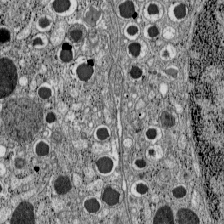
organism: C57BL Mouse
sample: Pancreatic islet